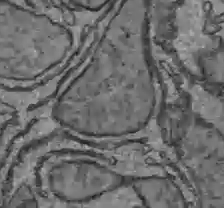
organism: C57BL Mouse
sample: Liver